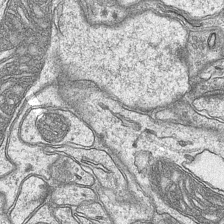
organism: Mouse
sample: CA1 Hippocampus